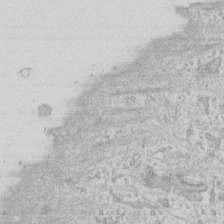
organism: Human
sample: Fibroblast cells